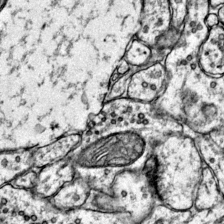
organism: Mouse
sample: Primary visual cortex